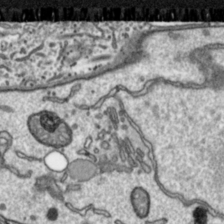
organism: Toxoplasma gondii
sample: Parasites in a vacuole inside a host cell